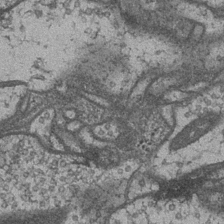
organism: Drosophila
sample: Optic medulla